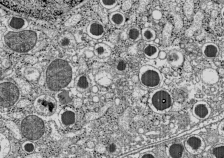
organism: C57BL Mouse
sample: Pancreatic islet